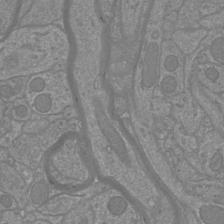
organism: Mouse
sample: Cortical neurons